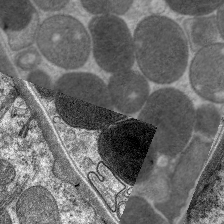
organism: C. elegans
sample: Pharynx